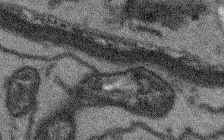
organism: Arabidopsis thaliana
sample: Root tip